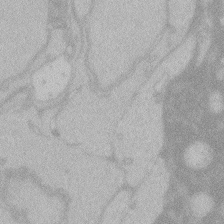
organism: Zebrafish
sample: Macrophage infected with Toxoplasma gondii